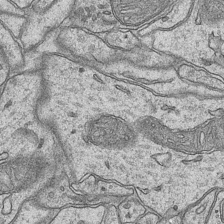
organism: Mouse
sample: CA1 Hippocampus